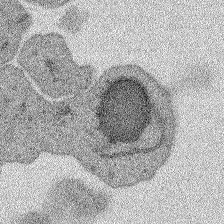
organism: Human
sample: HeLa cells